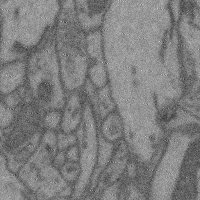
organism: Mouse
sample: Cerebral cortex